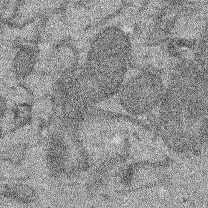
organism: Human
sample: HeLa cells